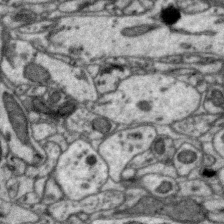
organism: Zebra finch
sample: Brain